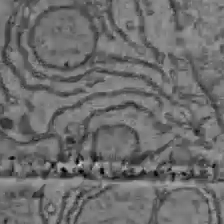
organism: C57BL Mouse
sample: Liver